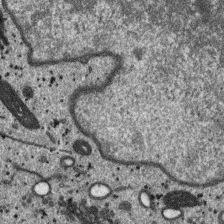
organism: Human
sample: Lung epithelial cells infected with SARS-CoV-2